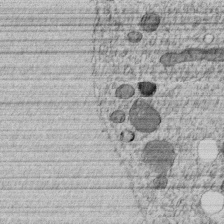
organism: C. elegans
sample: C. elegans embryo early stage